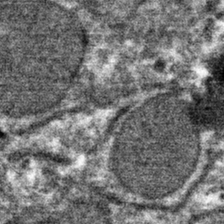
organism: Mouse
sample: Mouse hepatocytes